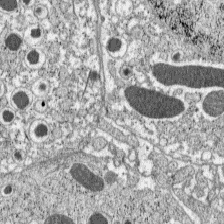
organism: C57BL Mouse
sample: Pancreatic islet